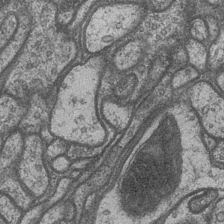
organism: Drosophila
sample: Optic medulla